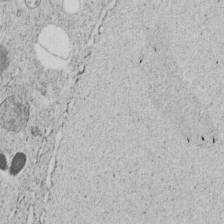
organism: C. elegans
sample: C. elegans embryo early stage